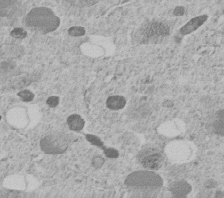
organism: C. elegans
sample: C. elegans embryo early stage